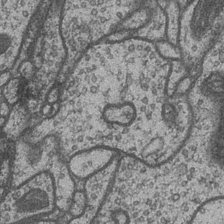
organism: Drosophila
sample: Optic medulla